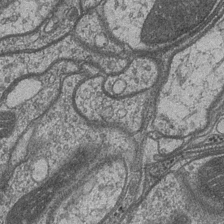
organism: Drosophila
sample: Optic medulla